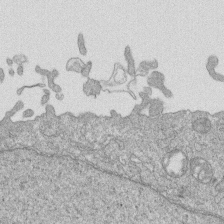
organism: Human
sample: HeLa cell HIV synapse